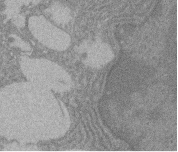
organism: Rat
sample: Salivary granule